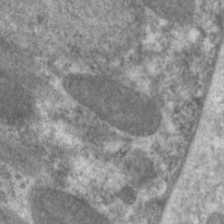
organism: C. elegans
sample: Pharynx